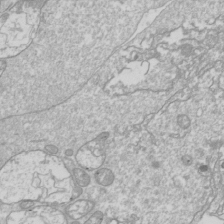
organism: Drosophila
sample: Cell division; meiosis; drosophila spermatocytes